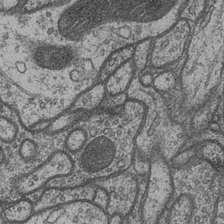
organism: Drosophila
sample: Optic medulla